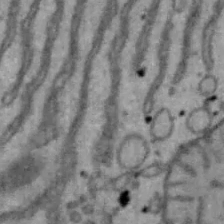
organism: Mouse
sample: Liver